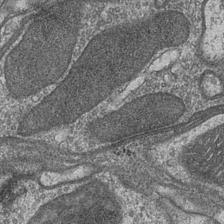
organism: Drosophila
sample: Optic medulla